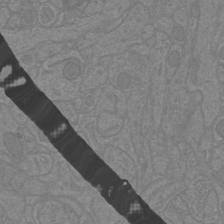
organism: Mouse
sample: Cortical neurons